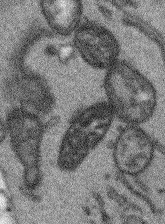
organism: Arabidopsis thaliana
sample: Root tip